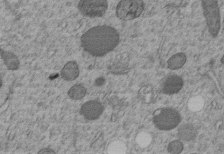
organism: C. elegans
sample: C. elegans embryo early stage